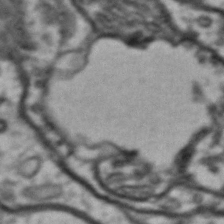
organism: Drosophila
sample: Brain